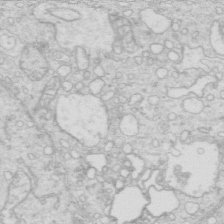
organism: Mouse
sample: Multiciliated cells